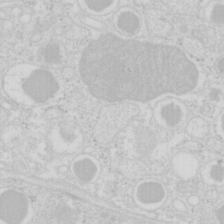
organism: Mouse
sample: Pancreas